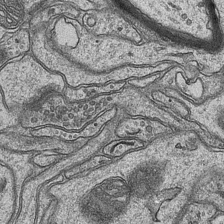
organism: Mouse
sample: CA1 Hippocampus